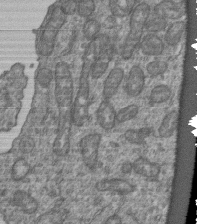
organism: Human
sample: Retinal organoid Rod and Cone cells